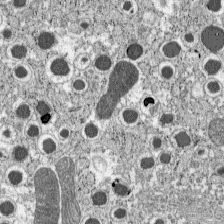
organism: C57BL Mouse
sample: Pancreatic islet